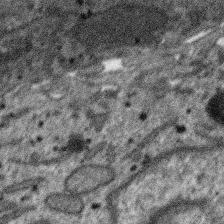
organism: Human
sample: Lung epithelial cells infected with SARS-CoV-2